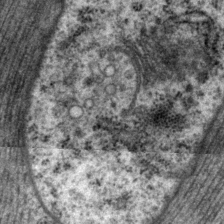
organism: P. pacificus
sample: Pharynx